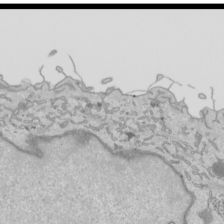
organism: Human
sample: Mitochondria in HCT116 cells